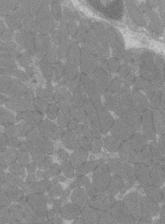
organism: C57BL Mouse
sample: Tibialis anterior muscle cell